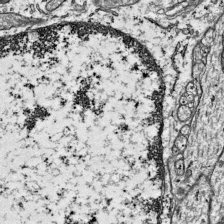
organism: Mouse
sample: Visual Cortex